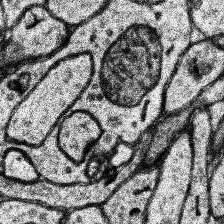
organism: Human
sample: Temporal Lobe